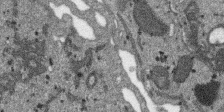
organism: Human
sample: Lung epithelial cells infected with SARS-CoV-2